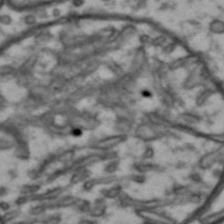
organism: Drosophila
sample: Brain